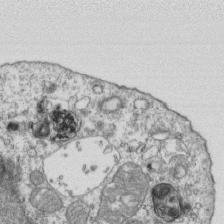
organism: Mouse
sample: Activated OT-1 CD8+ T cells